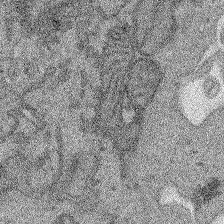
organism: Human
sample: HeLa cells